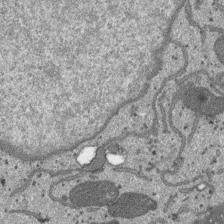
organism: Human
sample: Lung epithelial cells infected with SARS-CoV-2